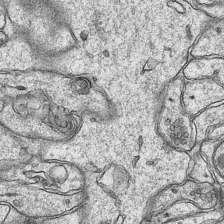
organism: Mouse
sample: CA1 Hippocampus